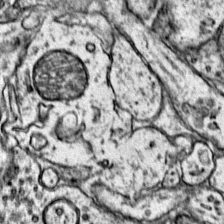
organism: Mouse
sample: Primary visual cortex